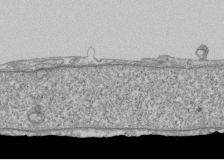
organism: Human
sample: Fibroblast cells